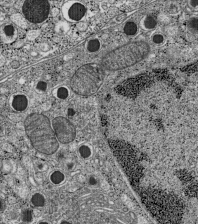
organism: C57BL Mouse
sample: Pancreatic islet